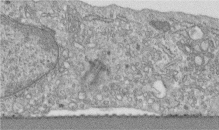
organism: Human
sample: Centriole in fibroblast cells